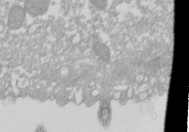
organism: Xenopus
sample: Cilia; centrioles in frog embryo cells